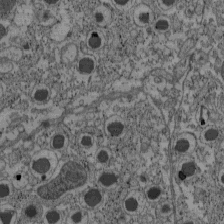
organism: C57BL Mouse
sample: Pancreatic islet